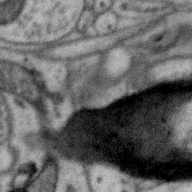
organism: Zebra finch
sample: Brain